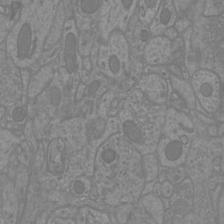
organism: Mouse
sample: Cortical neurons